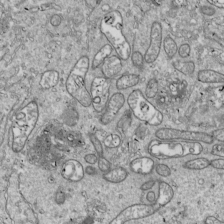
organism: Drosophila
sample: Cell division; meiosis; drosophila spermatocytes